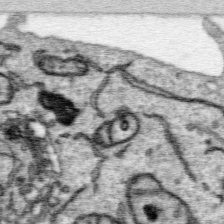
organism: Human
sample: HeLa cells